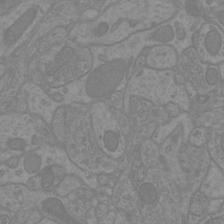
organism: Mouse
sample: Cortical neurons